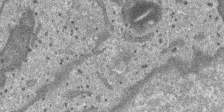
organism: Human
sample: Lung epithelial cells infected with SARS-CoV-2